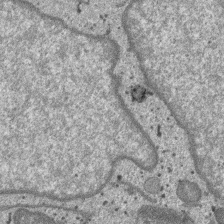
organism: Human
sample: Lung epithelial cells infected with SARS-CoV-2